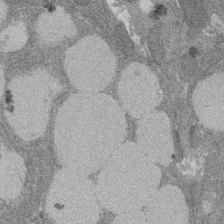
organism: Rat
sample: Salivary granule